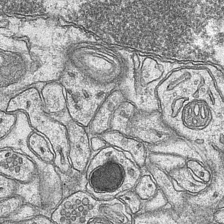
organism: Mouse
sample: CA1 Hippocampus